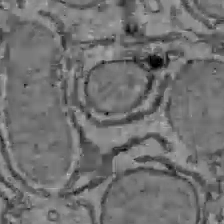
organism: C57BL Mouse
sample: Liver